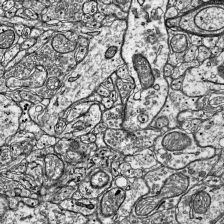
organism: Mouse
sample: Visual Cortex